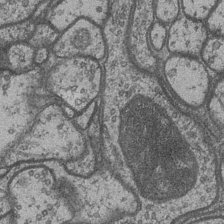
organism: Drosophila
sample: Optic medulla